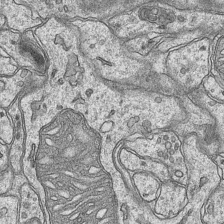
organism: Mouse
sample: CA1 Hippocampus